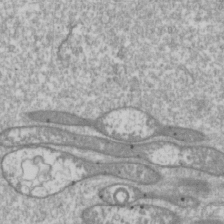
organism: Drosophila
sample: Cell division; meiosis; drosophila spermatocytes